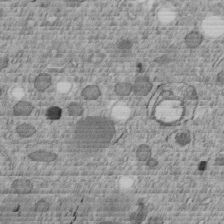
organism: C. elegans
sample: C. elegans embryo early stage